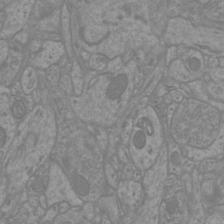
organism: Mouse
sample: Cortical neurons